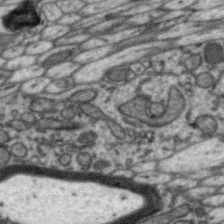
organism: Zebra finch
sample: Brain